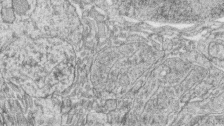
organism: Zebrafish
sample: synaptic ribbons in rod cells and cone cells